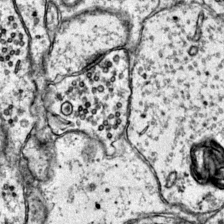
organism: Mouse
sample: Primary visual cortex